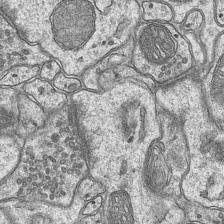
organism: Mouse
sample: CA1 Hippocampus